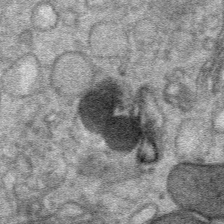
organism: Mouse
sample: Mouse Salivary gland